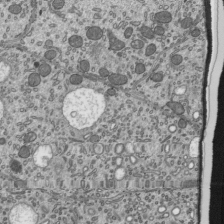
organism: Mouse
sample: Mouse epididymis efferent ductule cilia